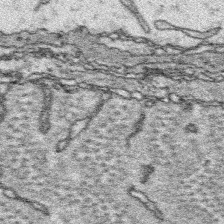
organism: Platynereis dumerilii